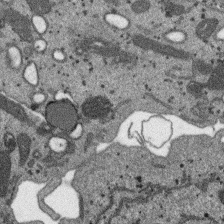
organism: Human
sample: Lung epithelial cells infected with SARS-CoV-2